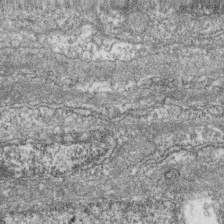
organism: Zebrafish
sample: Cilia; retinal pigment epithelium